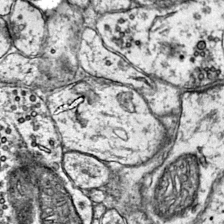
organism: Mouse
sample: Primary visual cortex